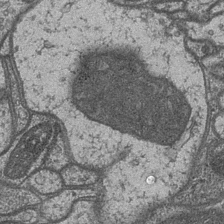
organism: Drosophila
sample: Optic medulla